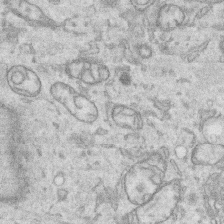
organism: Human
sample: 1205lu cells